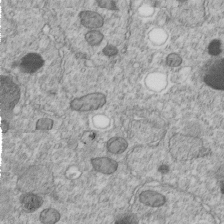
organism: C. elegans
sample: C. elegans embryo early stage